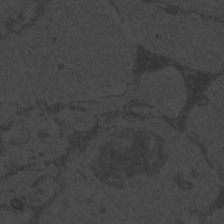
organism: Zebrafish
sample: Macrophage infected with Toxoplasma gondii